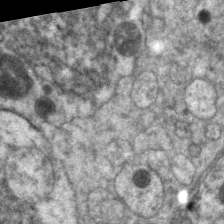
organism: C. elegans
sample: Pharynx